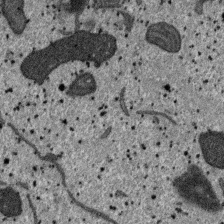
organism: Human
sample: Lung epithelial cells, uninfected (mock) control